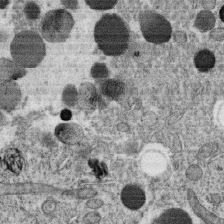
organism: C. elegans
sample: C. elegans oocyte; sperm cells